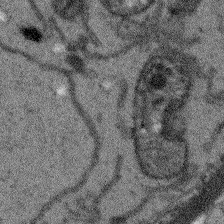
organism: Arabidopsis thaliana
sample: Root tip